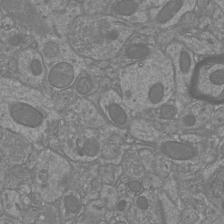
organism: Mouse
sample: Cortical neurons